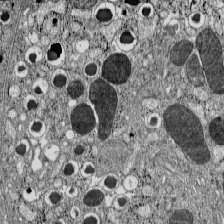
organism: C57BL Mouse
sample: Pancreatic islet